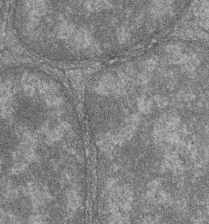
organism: Zebrafish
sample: Cilia; retinal pigment epithelium